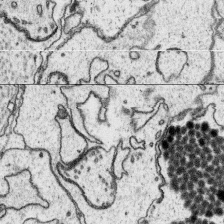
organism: Platynereis dumerilii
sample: Parapodia